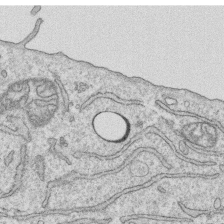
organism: Human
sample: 1205lu cells